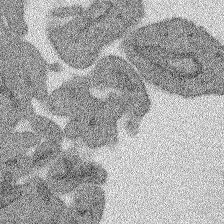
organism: Human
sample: HeLa cells